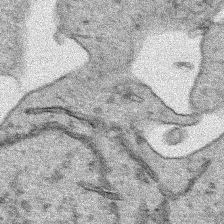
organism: Human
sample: Mitochondria in HCT116 cells